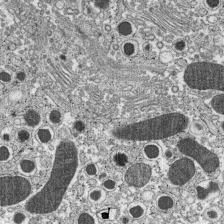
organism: C57BL Mouse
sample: Pancreatic islet